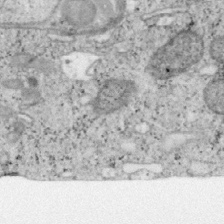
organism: Mouse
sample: OT-I killer T cells with ID8 ovarian cancer cells